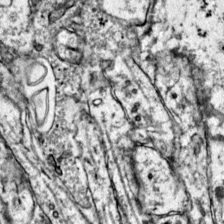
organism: Mouse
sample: Primary visual cortex